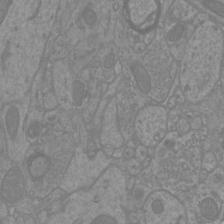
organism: Mouse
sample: Cortical neurons